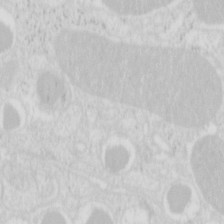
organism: Mouse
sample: Pancreas